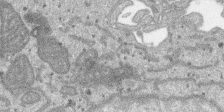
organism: Human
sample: Lung epithelial cells infected with SARS-CoV-2